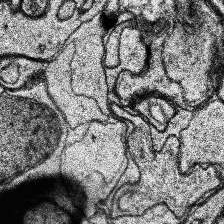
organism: Human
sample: Temporal Lobe